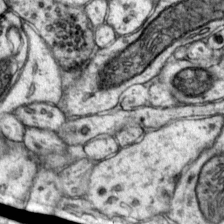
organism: Mouse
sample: Primary visual cortex